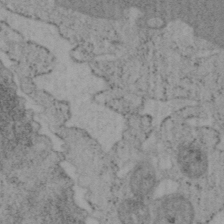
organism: Mouse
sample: OT-I killer T cells with ID8 ovarian cancer cells